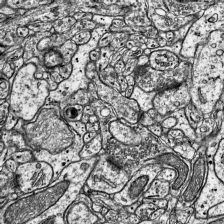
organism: Mouse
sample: Visual Cortex